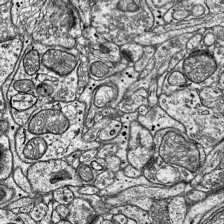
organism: Mouse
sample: Visual Cortex